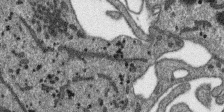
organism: Human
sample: Lung epithelial cells infected with SARS-CoV-2